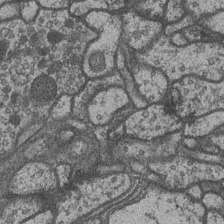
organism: Drosophila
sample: Optic medulla